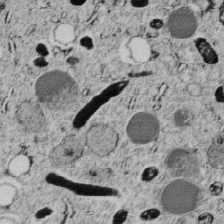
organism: C. elegans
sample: C. elegans embryo early stage